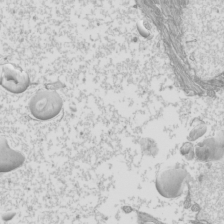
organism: Mouse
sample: Cilia; mouse epididymis